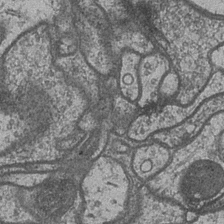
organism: Drosophila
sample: Optic medulla